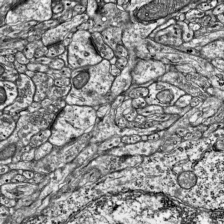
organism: Mouse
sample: Visual Cortex